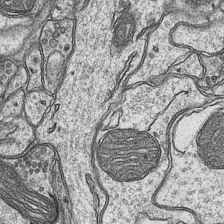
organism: Mouse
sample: CA1 Hippocampus